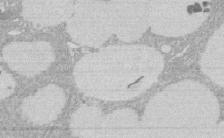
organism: Rat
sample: Salivary granule